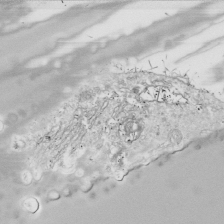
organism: Drosophila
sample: Cell division; meiosis; drosophila spermatocytes